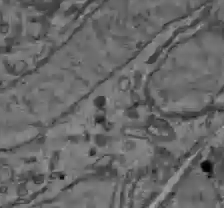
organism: C57BL Mouse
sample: Liver